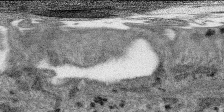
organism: Human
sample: Lung epithelial cells infected with SARS-CoV-2